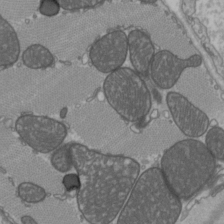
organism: C57BL Mouse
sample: Heart